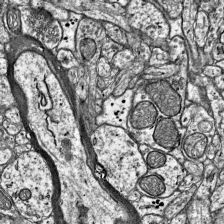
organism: Mouse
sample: Visual Cortex